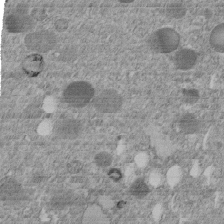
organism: C. elegans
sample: C. elegans embryo early stage